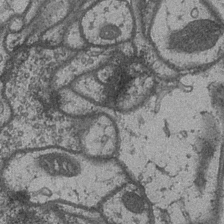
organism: Drosophila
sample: Optic medulla